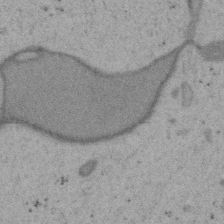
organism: Human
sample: HeLa cells